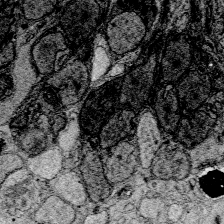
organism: Zebrafish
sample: Whole-Brain